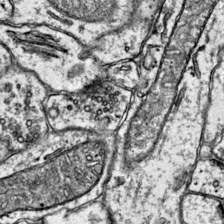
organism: Mouse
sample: Primary visual cortex